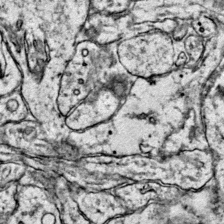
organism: Mouse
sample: Primary visual cortex